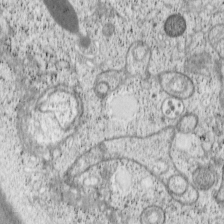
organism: African green monkey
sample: COS-7 cells